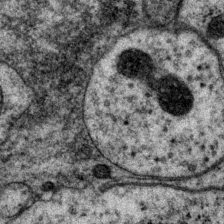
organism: P. pacificus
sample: Pharynx